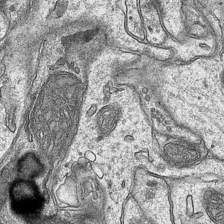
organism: Mouse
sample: CA1 Hippocampus